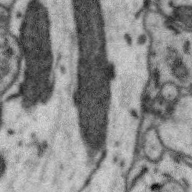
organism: Zebra finch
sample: Brain